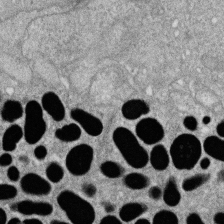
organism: Zebrafish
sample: Cilia; retinal pigment epithelium